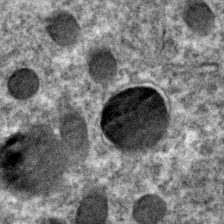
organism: C. elegans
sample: C. elegans embryo